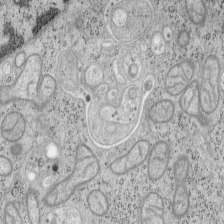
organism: Mouse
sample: OT-I killer T cells with ID8 ovarian cancer cells